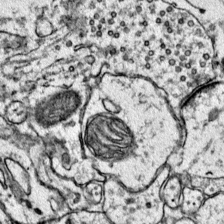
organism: Mouse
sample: Primary visual cortex